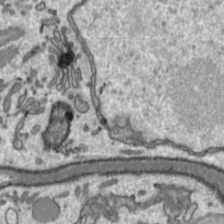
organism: Toxoplasma gondii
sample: Parasites in a vacuole inside a host cell